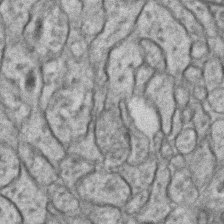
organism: C. elegans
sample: C. elegans embryo